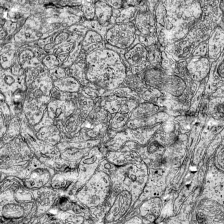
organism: Mouse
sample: Visual Cortex